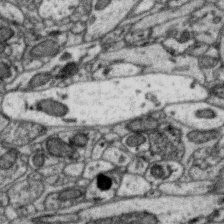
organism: Zebra finch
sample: Brain